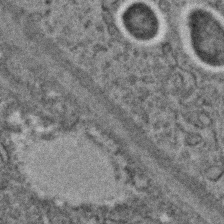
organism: C. elegans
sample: C. elegans embryo